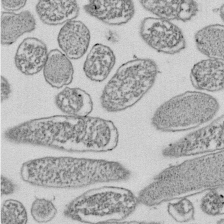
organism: E. coli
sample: Bacterial nucleoid